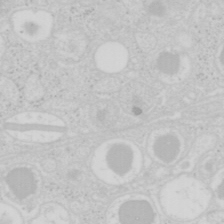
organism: Mouse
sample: Pancreas